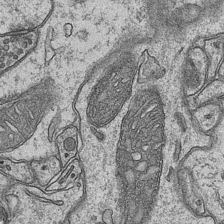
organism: Mouse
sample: CA1 Hippocampus